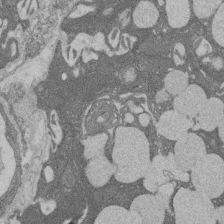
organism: Rat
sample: Salivary granule